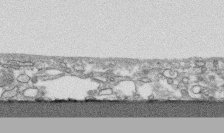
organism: Human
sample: CRL-1474